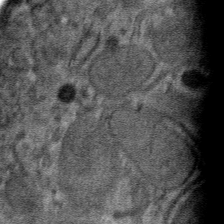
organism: Mouse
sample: Mouse hepatocytes